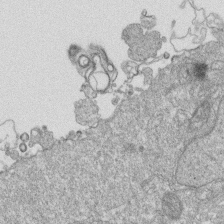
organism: Human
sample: HeLa cell HIV synapse